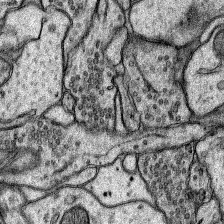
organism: Rat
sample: Hippocampus